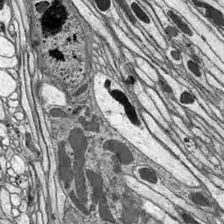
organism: Drosophila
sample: Optic lobe